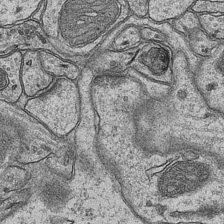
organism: Mouse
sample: CA1 Hippocampus